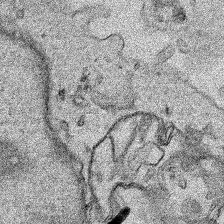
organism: Human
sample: Mitochondria in HCT116 cells